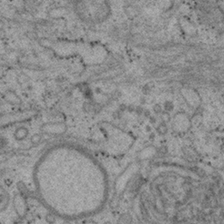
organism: Human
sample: HeLa cells